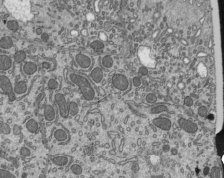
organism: Mouse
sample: Mouse epididymis efferent ductule cilia